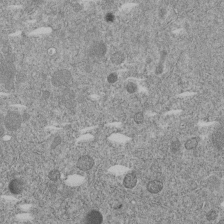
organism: C. elegans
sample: C. elegans embryo early stage